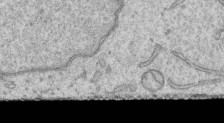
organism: Human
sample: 1205lu cells